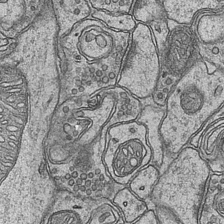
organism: Mouse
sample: CA1 Hippocampus